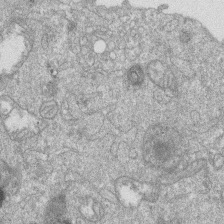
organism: Human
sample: HeLa cell HIV synapse